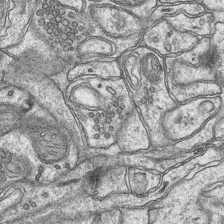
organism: Mouse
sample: CA1 Hippocampus